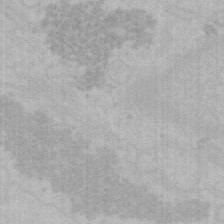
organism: Mouse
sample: Choroid plexus